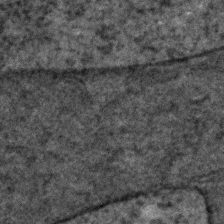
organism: C. elegans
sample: C. elegans embryo